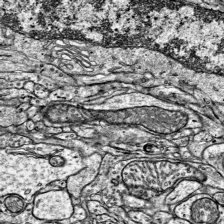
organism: Mouse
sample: Visual Cortex